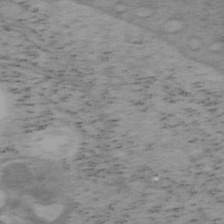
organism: Mouse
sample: OT-I killer T cells with ID8 ovarian cancer cells